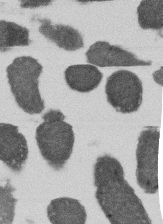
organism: E. coli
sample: Bacterial nucleoid